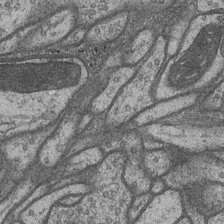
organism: Drosophila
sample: Optic medulla